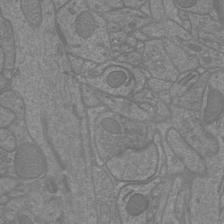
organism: Mouse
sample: Cortical neurons